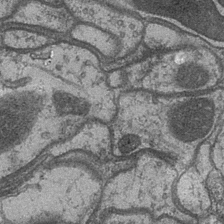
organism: Drosophila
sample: Optic medulla